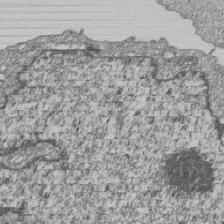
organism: Human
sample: MDA-MB-231 cells